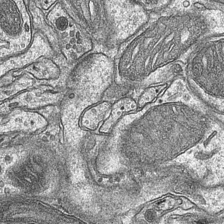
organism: Mouse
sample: CA1 Hippocampus